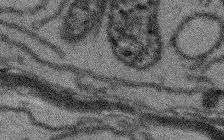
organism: Arabidopsis thaliana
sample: Root tip